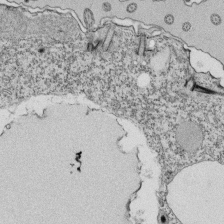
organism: Tetrahymena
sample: Cilia in tetrahymena